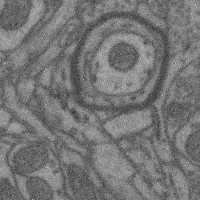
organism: Mouse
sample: Cerebral cortex